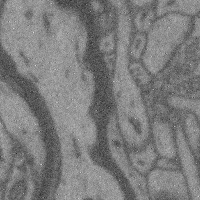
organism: Mouse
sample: Cerebral cortex